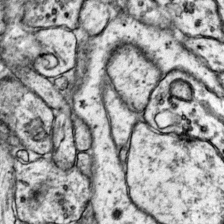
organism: Mouse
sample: Primary visual cortex